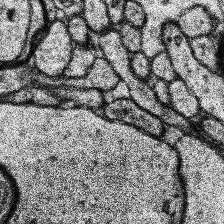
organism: Human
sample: Temporal Lobe